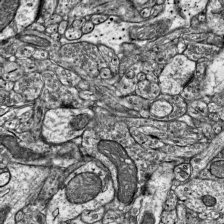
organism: Mouse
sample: Visual Cortex